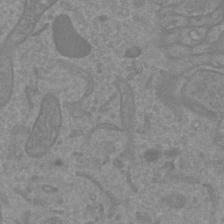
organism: Mouse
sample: Cortical neurons